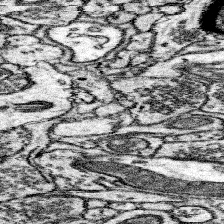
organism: Mouse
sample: Somatosensory cortex neuropil